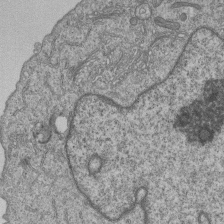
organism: Human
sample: MDA-MB-231 cells